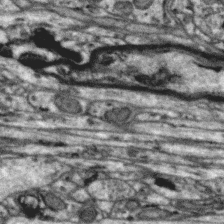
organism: Zebra finch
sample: Brain